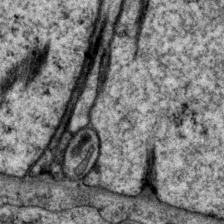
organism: P. pacificus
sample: Pharynx